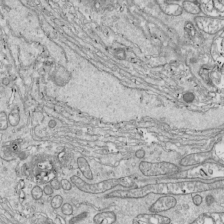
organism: Drosophila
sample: Cell division; meiosis; drosophila spermatocytes